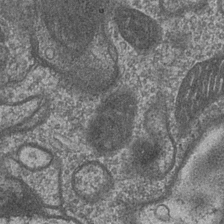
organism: Drosophila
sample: Optic medulla